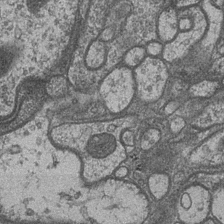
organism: Drosophila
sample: Optic medulla